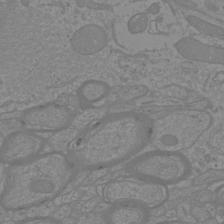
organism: Mouse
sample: Cortical neurons